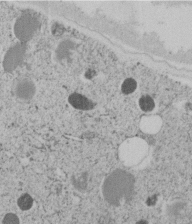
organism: C. elegans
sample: C. elegans embryo early stage